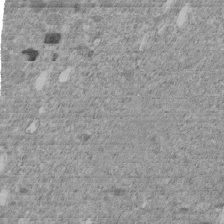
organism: C. elegans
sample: C. elegans embryo early stage